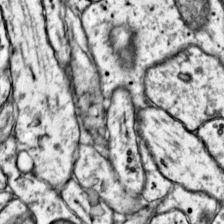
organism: Mouse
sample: Primary visual cortex